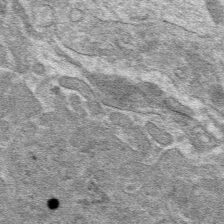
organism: Mouse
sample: Mouse hepatocytes